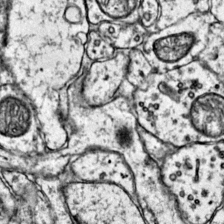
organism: Mouse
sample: Primary visual cortex